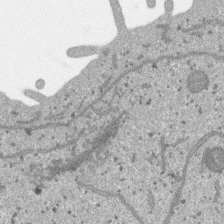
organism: Human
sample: Lung epithelial cells infected with SARS-CoV-2